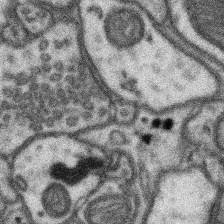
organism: Mouse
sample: Somatosensory cortex neuropil